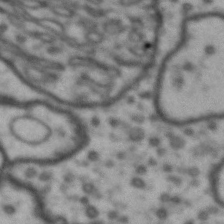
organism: Drosophila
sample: Brain